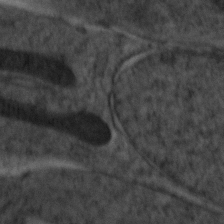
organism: Zebrafish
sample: Zebrafish embryo